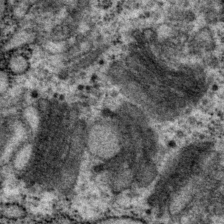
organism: P. pacificus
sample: Pharynx